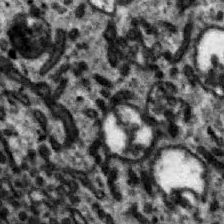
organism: Human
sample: HeLa cells